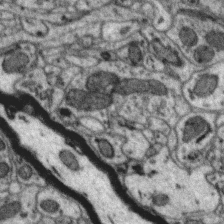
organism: Zebra finch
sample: Brain